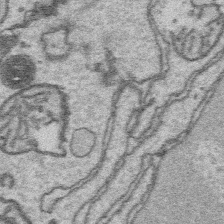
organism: Platynereis dumerilii